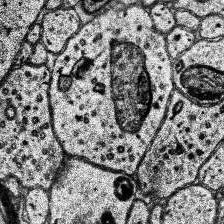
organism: Human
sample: Temporal Lobe